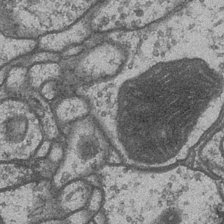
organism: Drosophila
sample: Optic medulla